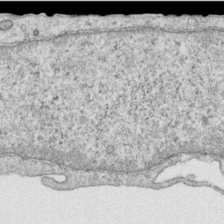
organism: Human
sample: Centriole in RPE cells